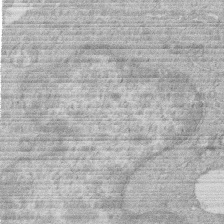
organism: Human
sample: Macrophage cells